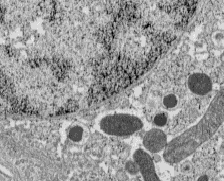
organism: C57BL Mouse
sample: Pancreatic islet